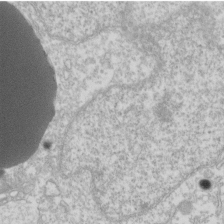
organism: Xenopus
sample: Cilia; centrioles in frog embryo cells